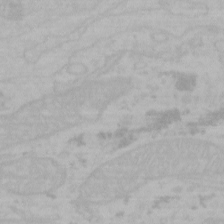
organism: Mouse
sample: Choroid plexus